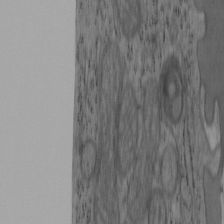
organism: Human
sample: HeLa cells